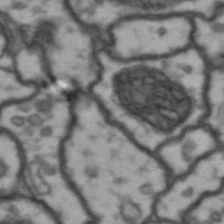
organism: Drosophila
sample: Brain